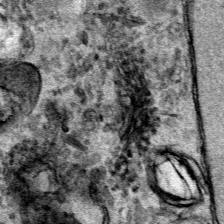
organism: Human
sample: Mitochondria in HCT116 cells